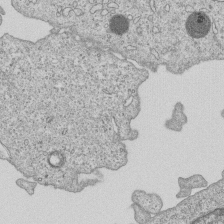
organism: Human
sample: MDA-MB-231 cells